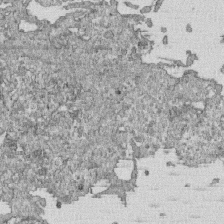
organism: Human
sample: HeLa cell HIV synapse